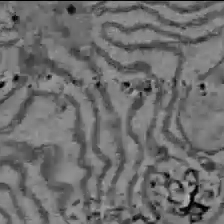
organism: C57BL Mouse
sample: Liver